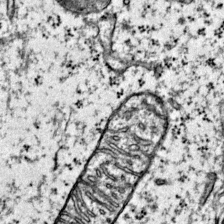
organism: Mouse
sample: Primary visual cortex